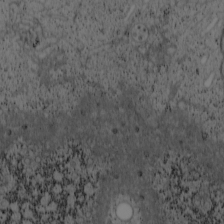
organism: African green monkey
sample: COS-7 cells